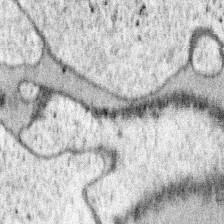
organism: Human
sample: HeLa cells